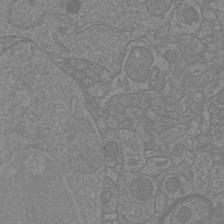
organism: Mouse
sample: Cortical neurons